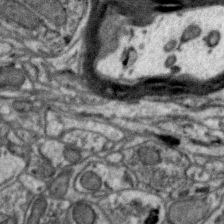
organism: Zebra finch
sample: Brain